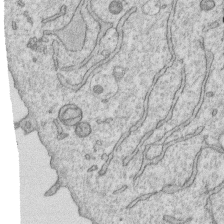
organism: Human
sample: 1205lu cells